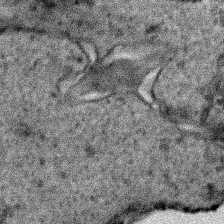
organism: Human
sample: Mitochondria in HCT116 cells